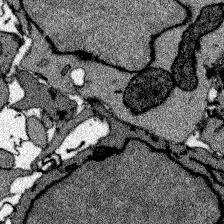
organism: Zebrafish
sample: Larval olfactory bulb